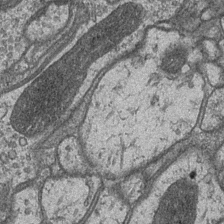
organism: Drosophila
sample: Optic medulla